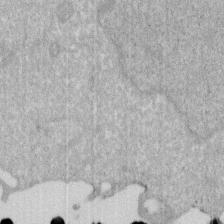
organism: Human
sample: HIV infected U937 cells